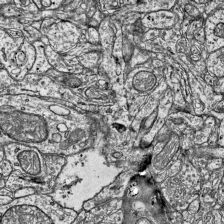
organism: Mouse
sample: Visual Cortex